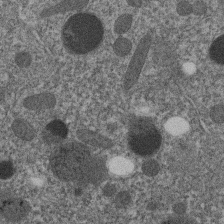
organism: C. elegans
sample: C. elegans embryo early stage